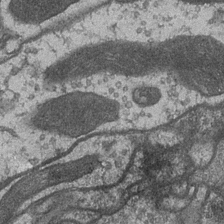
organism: Drosophila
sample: Optic medulla